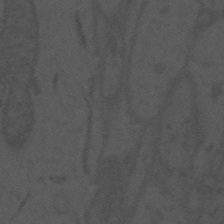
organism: Mouse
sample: Suprachiasmatic nucleus